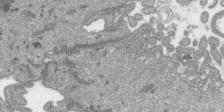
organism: Human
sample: Lung epithelial cells infected with SARS-CoV-2